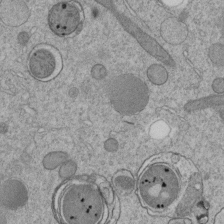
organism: C. elegans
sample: C. elegans embryo early stage